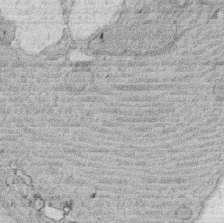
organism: Rat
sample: Salivary granule